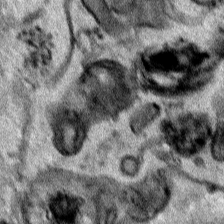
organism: Human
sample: Mitochondria in HCT116 cells